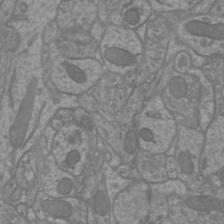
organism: Mouse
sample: Cortical neurons